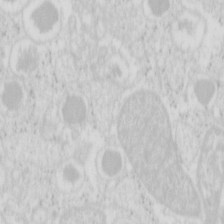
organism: Mouse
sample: Pancreas